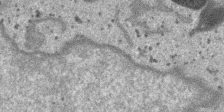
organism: Human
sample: Lung epithelial cells infected with SARS-CoV-2